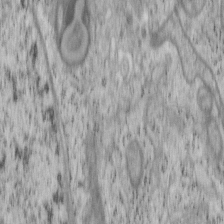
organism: Human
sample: HeLa cells